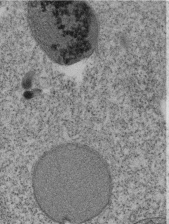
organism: Tetrahymena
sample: Cilia in tetrahymena